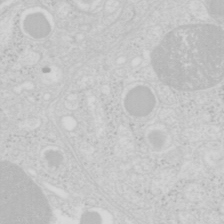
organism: Mouse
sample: Pancreas